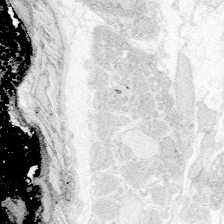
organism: Zebrafish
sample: Whole-Brain